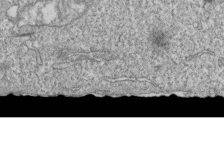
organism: Human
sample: HeLa cell HIV synapse